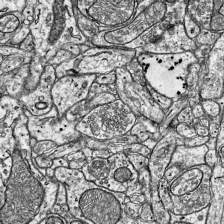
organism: Mouse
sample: Visual Cortex